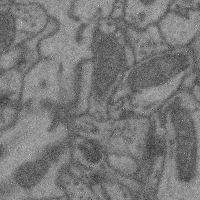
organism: Mouse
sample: Cerebral cortex